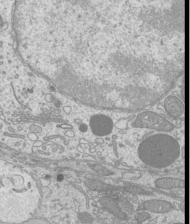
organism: Mouse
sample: Cilia; mouse epididymis